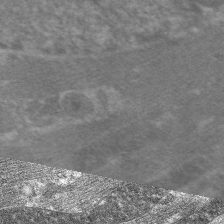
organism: C. elegans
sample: Pharynx